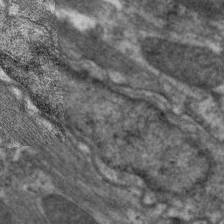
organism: C. elegans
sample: Pharynx